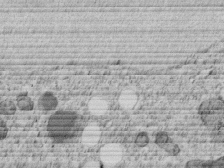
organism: C. elegans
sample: C. elegans embryo early stage